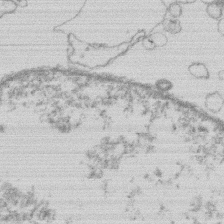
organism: Human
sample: Macrophage cells